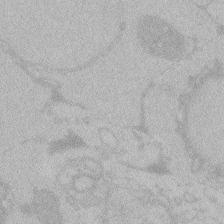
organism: Zebrafish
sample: Macrophage infected with Toxoplasma gondii